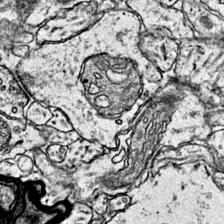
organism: Mouse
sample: Primary visual cortex